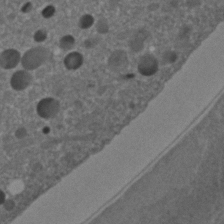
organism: C. elegans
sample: C. elegans embryo